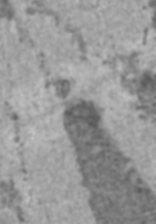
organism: C57BL Mouse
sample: Heart